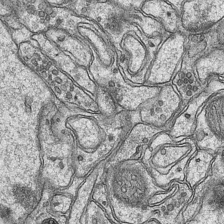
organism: Mouse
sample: CA1 Hippocampus